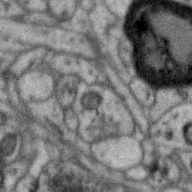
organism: Zebra finch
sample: Brain